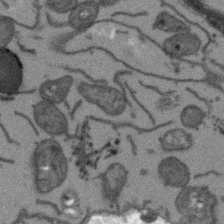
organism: Arabidopsis thaliana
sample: Root tip